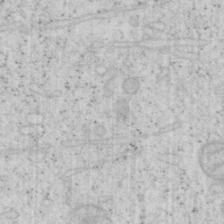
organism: Human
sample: HeLa cells